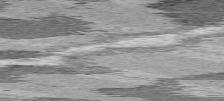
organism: C57BL Mouse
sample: Heart